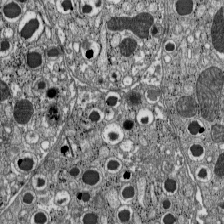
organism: C57BL Mouse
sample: Pancreatic islet